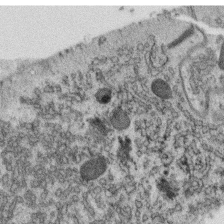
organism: C. elegans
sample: C. elegans oocyte; sperm cells